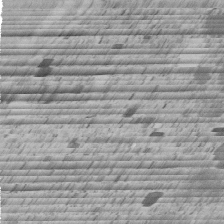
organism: C. elegans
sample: C. elegans embryo early stage